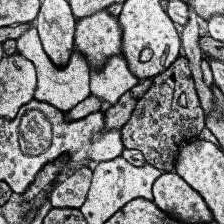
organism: Human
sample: Temporal Lobe